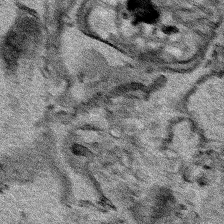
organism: Human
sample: Mitochondria in HCT116 cells